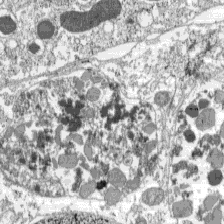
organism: C57BL Mouse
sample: Pancreatic islet